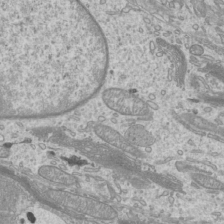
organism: Mouse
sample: Cilia; mouse epididymis